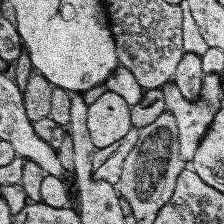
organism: Human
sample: Temporal Lobe